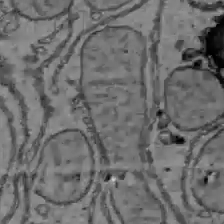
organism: C57BL Mouse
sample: Liver